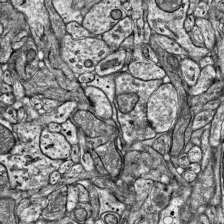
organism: Mouse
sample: Visual Cortex